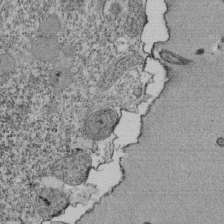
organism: Tetrahymena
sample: Cilia in tetrahymena